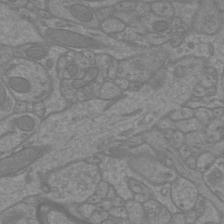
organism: Mouse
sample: Cortical neurons